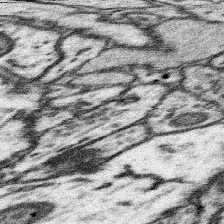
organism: Mouse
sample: Somatosensory cortex neuropil